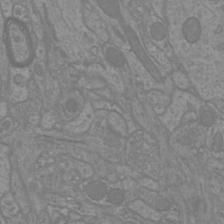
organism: Mouse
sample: Cortical neurons